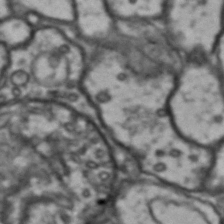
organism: Drosophila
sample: Brain